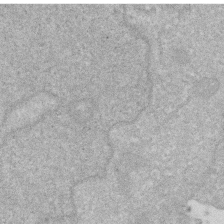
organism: Human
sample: HIV infected U937 cells